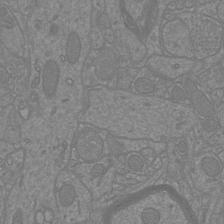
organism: Mouse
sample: Cortical neurons